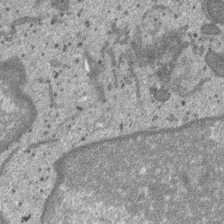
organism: Human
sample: Lung epithelial cells infected with SARS-CoV-2